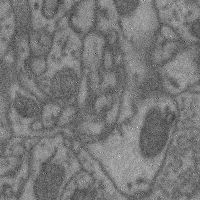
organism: Mouse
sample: Cerebral cortex